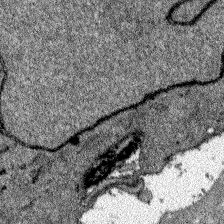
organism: Zebrafish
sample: Larval olfactory bulb